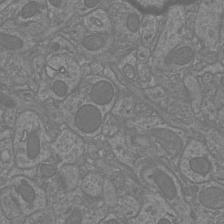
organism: Mouse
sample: Cortical neurons